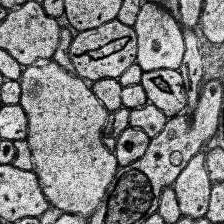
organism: Human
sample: Temporal Lobe